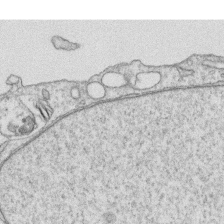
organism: Human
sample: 1205lu cells